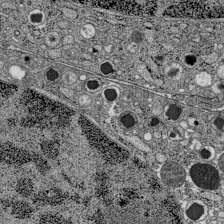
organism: C57BL Mouse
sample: Pancreatic islet